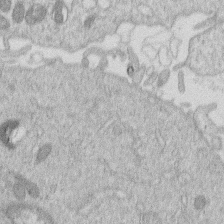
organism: Human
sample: Macrophage cells